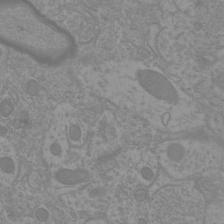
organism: Mouse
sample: Cortical neurons